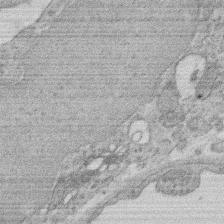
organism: Rat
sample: Salivary granule